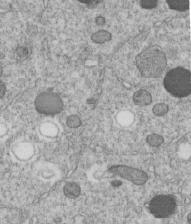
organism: C. elegans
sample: C. elegans embryo early stage